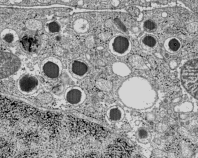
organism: C57BL Mouse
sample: Pancreatic islet